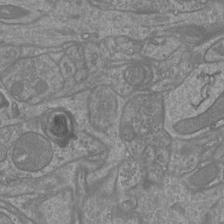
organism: Mouse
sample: Cortical neurons